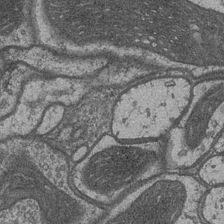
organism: Drosophila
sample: Optic medulla